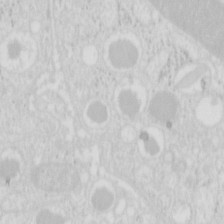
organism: Mouse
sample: Pancreas